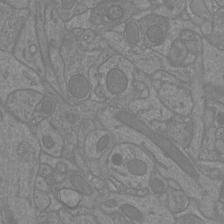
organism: Mouse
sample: Cortical neurons